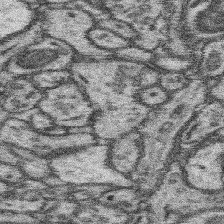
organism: Mouse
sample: Somatosensory cortex neuropil